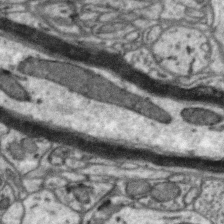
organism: Zebra finch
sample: Brain